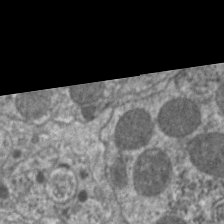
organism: C. elegans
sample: Pharynx